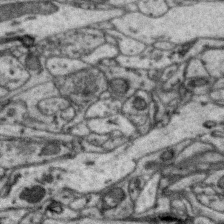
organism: Zebra finch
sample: Brain